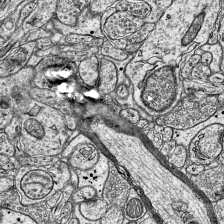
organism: Mouse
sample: Visual Cortex